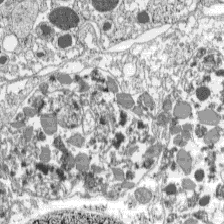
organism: C57BL Mouse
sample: Pancreatic islet